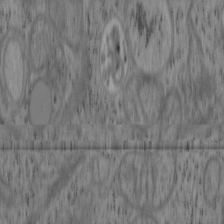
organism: Human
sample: HeLa cells